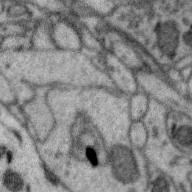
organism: Zebra finch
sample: Brain